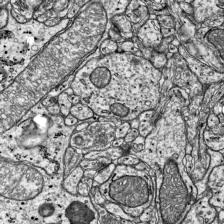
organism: Mouse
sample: Visual Cortex